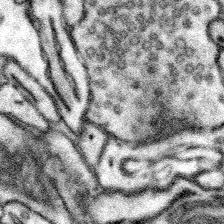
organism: Mouse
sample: Somatosensory cortex neuropil